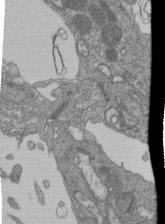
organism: Human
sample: Retinal organoid Rod and Cone cells